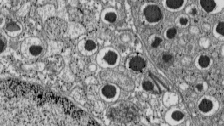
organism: C57BL Mouse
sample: Pancreatic islet